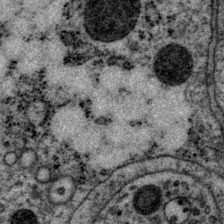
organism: P. pacificus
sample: Pharynx